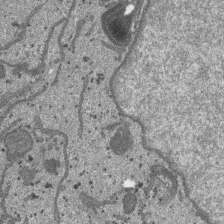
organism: Human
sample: Lung epithelial cells infected with SARS-CoV-2